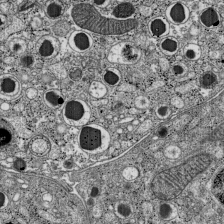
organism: C57BL Mouse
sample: Pancreatic islet